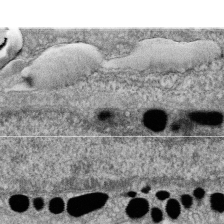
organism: Zebrafish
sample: Cilia; retinal pigment epithelium